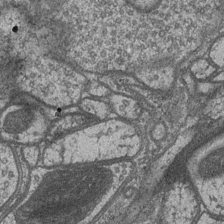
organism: Drosophila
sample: Optic medulla